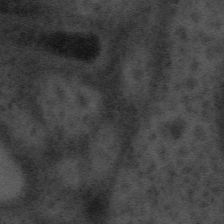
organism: Tuwongella immobilis